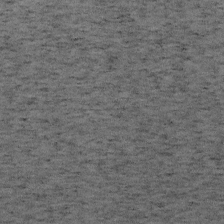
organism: Mouse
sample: OT-I killer T cells with ID8 ovarian cancer cells